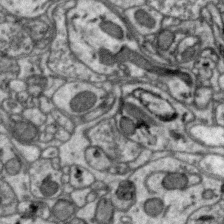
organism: Zebra finch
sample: Brain